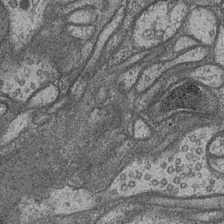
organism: Drosophila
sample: Optic medulla